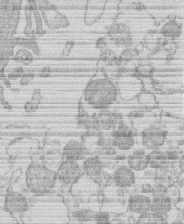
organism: Human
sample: Macrophage cells